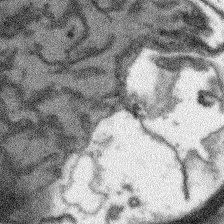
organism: Arabidopsis thaliana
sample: Root tip